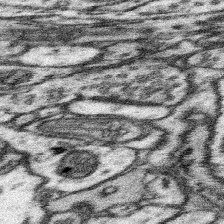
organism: Mouse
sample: Somatosensory cortex neuropil